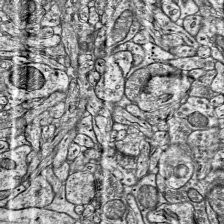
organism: Mouse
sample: Visual Cortex